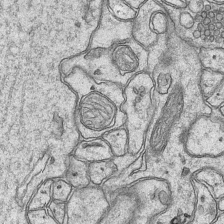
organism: Mouse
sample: CA1 Hippocampus